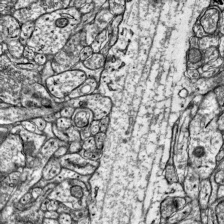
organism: Mouse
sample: Visual Cortex